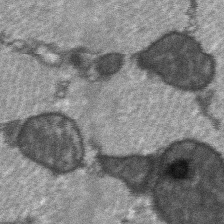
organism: C57BL Mouse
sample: Soleus